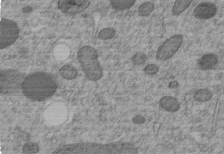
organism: C. elegans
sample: C. elegans embryo early stage